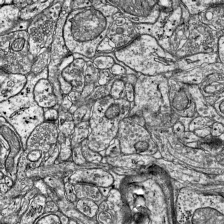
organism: Mouse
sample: Visual Cortex